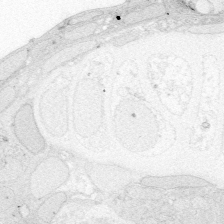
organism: Zebrafish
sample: Whole-Brain